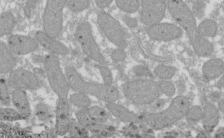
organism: Xenopus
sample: Cilia; centrioles in frog embryo cells